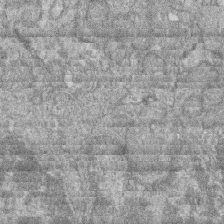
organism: Zebrafish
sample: Cilia; retinal pigment epithelium